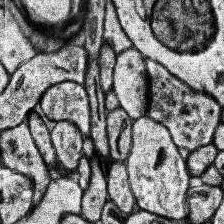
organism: Human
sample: Temporal Lobe